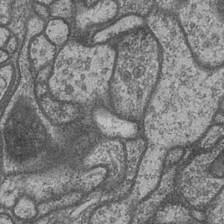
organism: Drosophila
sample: Optic medulla